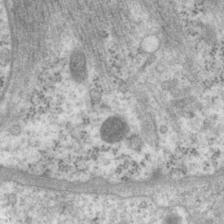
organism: P. pacificus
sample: Pharynx